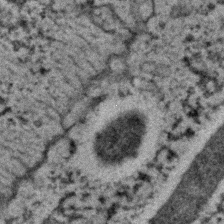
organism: C. elegans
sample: C. elegans embryo